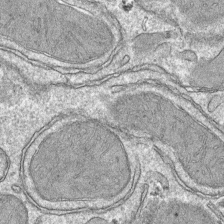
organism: Mouse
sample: Mouse hepatocytes